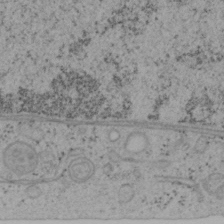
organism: Human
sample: HeLa cells